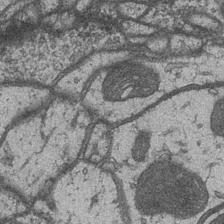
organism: Drosophila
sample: Optic medulla